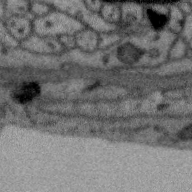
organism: Zebra finch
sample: Brain